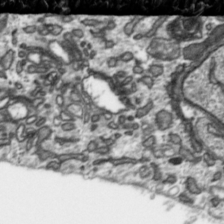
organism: Toxoplasma gondii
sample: Parasites in a vacuole inside a host cell